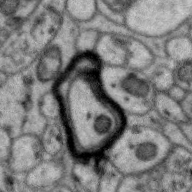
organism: Zebra finch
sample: Brain